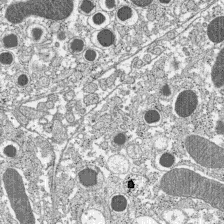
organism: C57BL Mouse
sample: Pancreatic islet